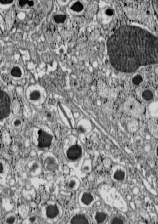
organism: C57BL Mouse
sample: Pancreatic islet